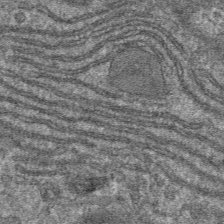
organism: Mouse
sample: Mouse hepatocytes